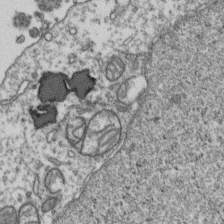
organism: Human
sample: Activated Jurkat CD4+ T cells